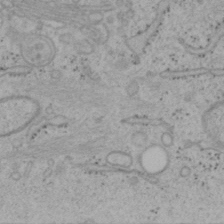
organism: Human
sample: HeLa cells